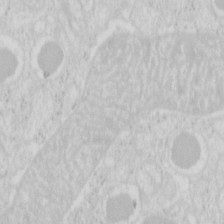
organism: Mouse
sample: Pancreas